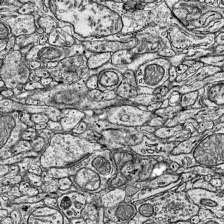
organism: Mouse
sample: Visual Cortex